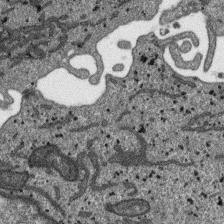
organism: Human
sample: Lung epithelial cells infected with SARS-CoV-2